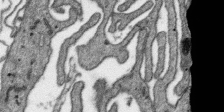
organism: Human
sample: Lung epithelial cells, uninfected (mock) control